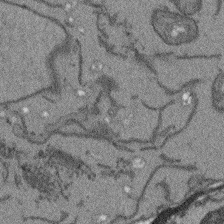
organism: Arabidopsis thaliana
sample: Root tip